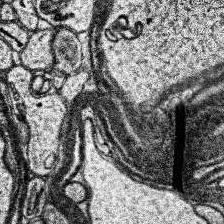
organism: Human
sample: Temporal Lobe